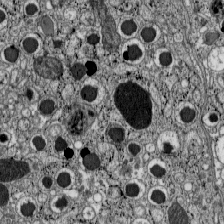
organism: C57BL Mouse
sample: Pancreatic islet